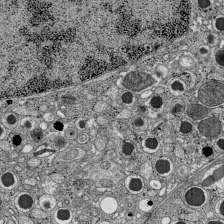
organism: C57BL Mouse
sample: Pancreatic islet